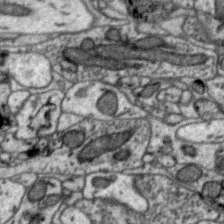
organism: Zebra finch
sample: Brain